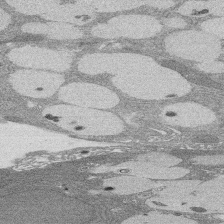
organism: Rat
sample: Salivary granule